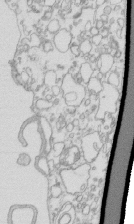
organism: Mouse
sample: Macrophages